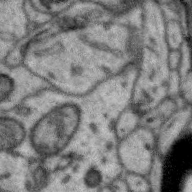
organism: Zebra finch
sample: Brain